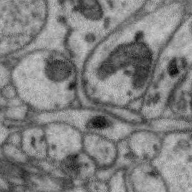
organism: Zebra finch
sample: Brain